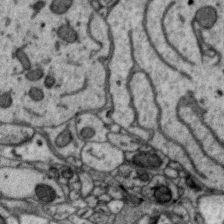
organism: Zebra finch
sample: Brain